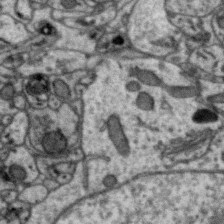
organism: Zebra finch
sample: Brain